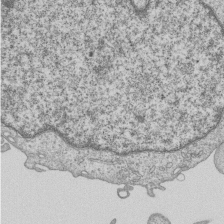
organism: Human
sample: MDA-MB-231 cells